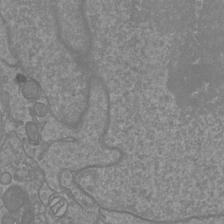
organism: Mouse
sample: Cortical neurons